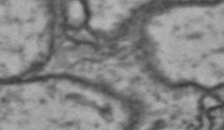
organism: Drosophila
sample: Brain